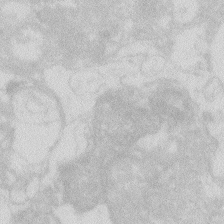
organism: Zebrafish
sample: Macrophage